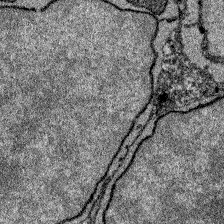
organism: Zebrafish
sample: Larval olfactory bulb